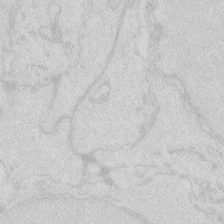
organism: Zebrafish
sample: Macrophage